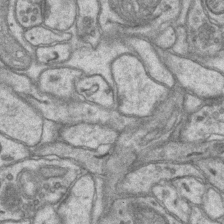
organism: Mouse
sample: CA1 Hippocampus